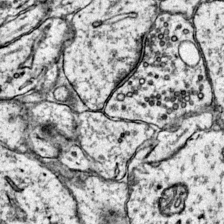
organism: Mouse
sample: Primary visual cortex